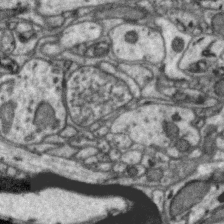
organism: Zebra finch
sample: Brain